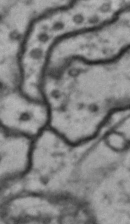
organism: Drosophila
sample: Brain